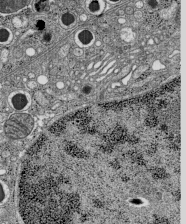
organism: C57BL Mouse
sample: Pancreatic islet